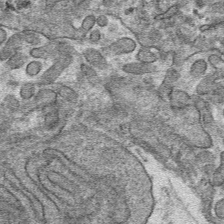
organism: Mouse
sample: Mouse hepatocytes